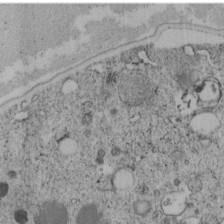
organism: C. elegans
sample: C. elegans embryo early stage